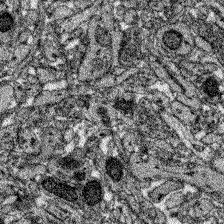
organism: Zebrafish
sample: Larval olfactory bulb